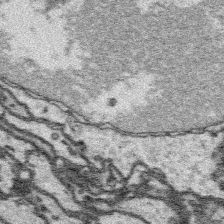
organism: Platynereis dumerilii